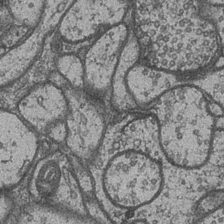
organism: Drosophila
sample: Optic medulla